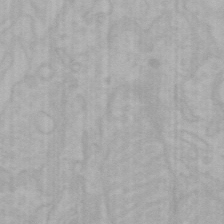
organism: Mouse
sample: Choroid plexus